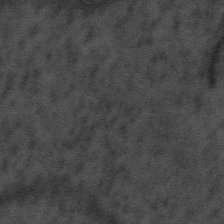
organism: Tuwongella immobilis